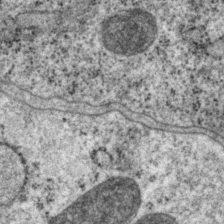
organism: P. pacificus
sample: Pharynx